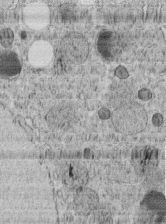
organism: C. elegans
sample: C. elegans embryo early stage